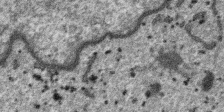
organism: Human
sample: Lung epithelial cells infected with SARS-CoV-2